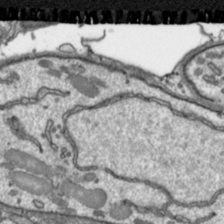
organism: Toxoplasma gondii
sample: Parasites in a vacuole inside a host cell